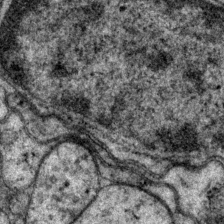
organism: P. pacificus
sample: Pharynx